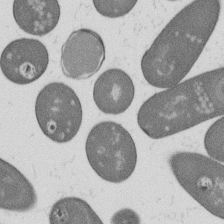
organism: B. subtilis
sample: Bacterial spore